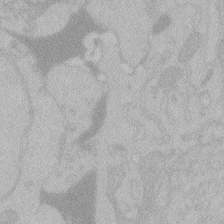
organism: Zebrafish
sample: Macrophage infected with Toxoplasma gondii